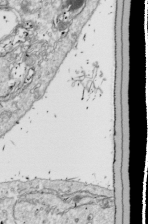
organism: Drosophila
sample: Cell division; meiosis; drosophila spermatocytes